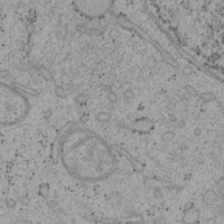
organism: Human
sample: HeLa cells